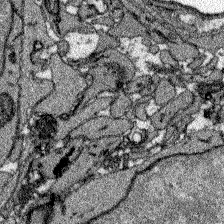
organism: Zebrafish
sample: Larval olfactory bulb